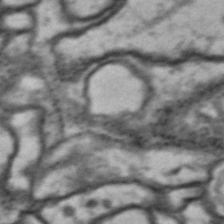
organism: Drosophila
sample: Brain